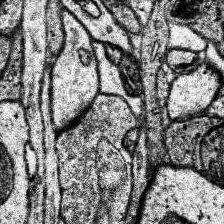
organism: Human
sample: Temporal Lobe